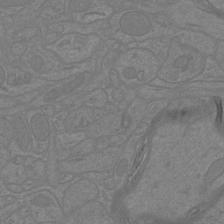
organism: Mouse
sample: Cortical neurons